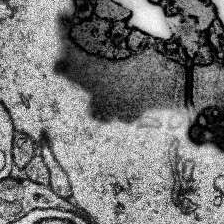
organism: Human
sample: Temporal Lobe